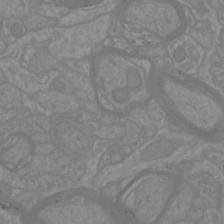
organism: Mouse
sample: Cortical neurons